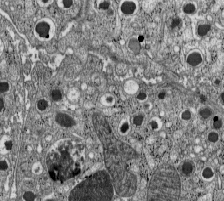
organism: C57BL Mouse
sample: Pancreatic islet